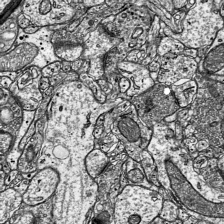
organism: Mouse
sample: Visual Cortex